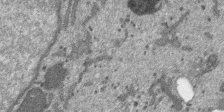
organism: Human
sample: Lung epithelial cells infected with SARS-CoV-2